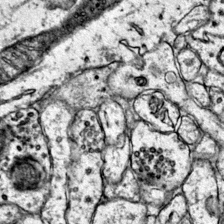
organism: Mouse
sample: Primary visual cortex